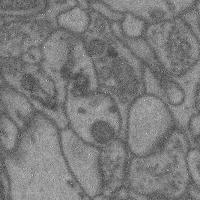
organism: Mouse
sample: Cerebral cortex